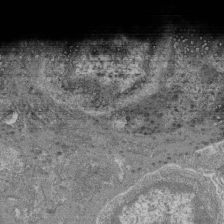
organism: Mouse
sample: Glomerulus